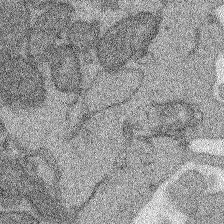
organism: Human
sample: HeLa cells